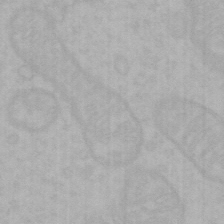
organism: Mouse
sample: Choroid plexus